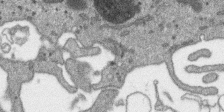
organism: Human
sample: Lung epithelial cells infected with SARS-CoV-2